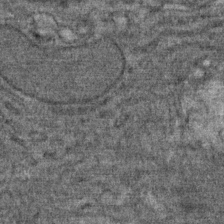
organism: Mouse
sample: Mouse Salivary gland